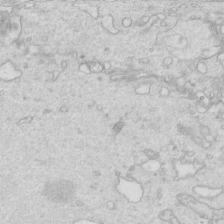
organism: Mouse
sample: Multiciliated cells